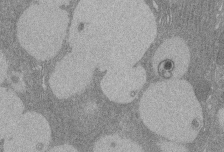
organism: Rat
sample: Salivary granule